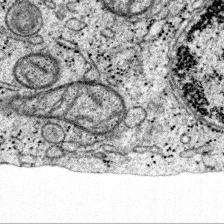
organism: Human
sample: HeLa cells